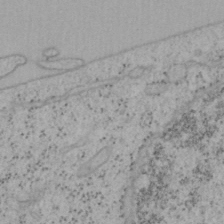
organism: Human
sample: HeLa cells